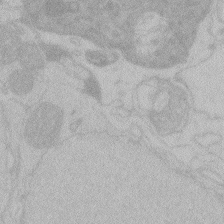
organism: Zebrafish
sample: Macrophage infected with Toxoplasma gondii